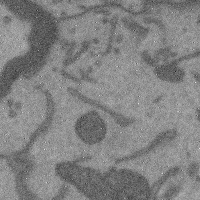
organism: Mouse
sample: Cerebral cortex